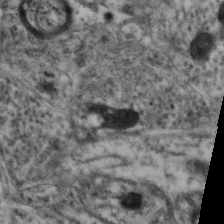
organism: Mouse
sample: Neocortex